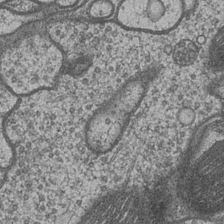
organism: Drosophila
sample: Optic medulla